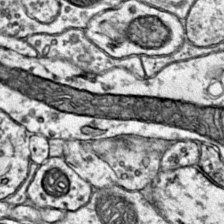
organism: Mouse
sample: Primary visual cortex